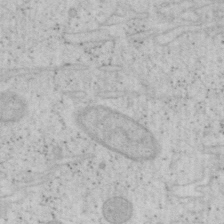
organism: Human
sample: HeLa cells